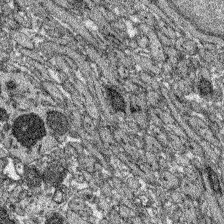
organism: Zebrafish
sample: Larval olfactory bulb